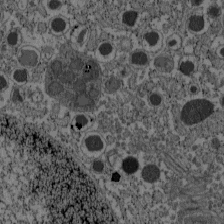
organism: C57BL Mouse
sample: Pancreatic islet